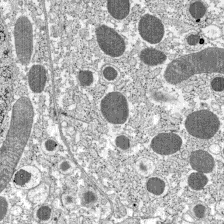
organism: C57BL Mouse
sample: Pancreatic islet